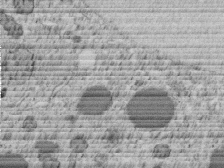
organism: C. elegans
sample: C. elegans embryo early stage